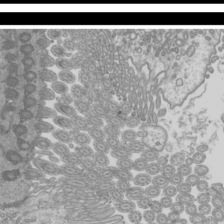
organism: Mouse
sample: Cilia; mouse epididymis